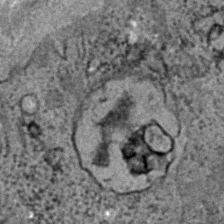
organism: C. elegans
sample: C. elegans embryo